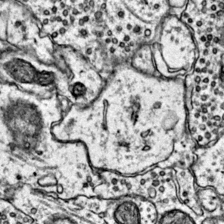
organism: Mouse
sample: Primary visual cortex